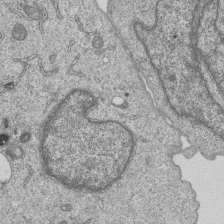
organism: Human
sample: MDA-MB-231 cells